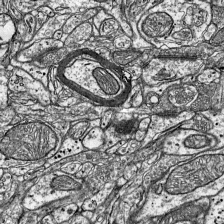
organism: Mouse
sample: Visual Cortex